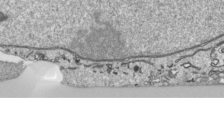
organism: Human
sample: Mitochondria in HCT116 cells